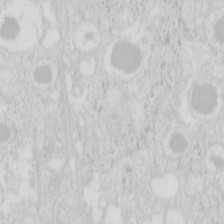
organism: Mouse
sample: Pancreas